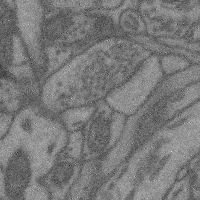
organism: Mouse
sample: Cerebral cortex